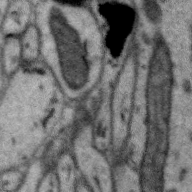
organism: Zebra finch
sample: Brain